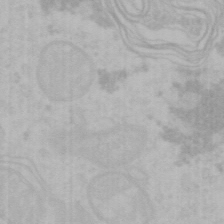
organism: Mouse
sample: Choroid plexus